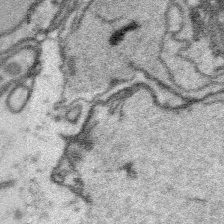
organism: Platynereis dumerilii